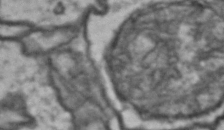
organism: Drosophila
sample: Brain